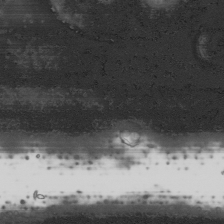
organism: Human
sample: Mitochondria in HCT116 cells